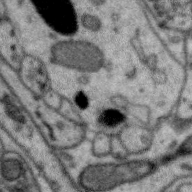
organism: Zebra finch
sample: Brain